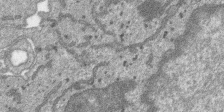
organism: Human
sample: Lung epithelial cells infected with SARS-CoV-2